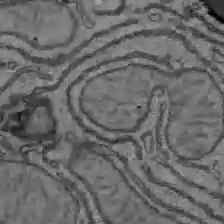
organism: C57BL Mouse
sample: Liver